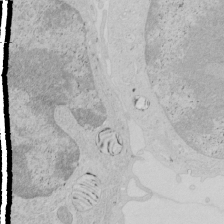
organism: Human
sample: Mitochondria in HCT116 cells